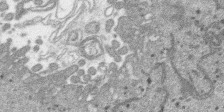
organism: Human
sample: Lung epithelial cells infected with SARS-CoV-2